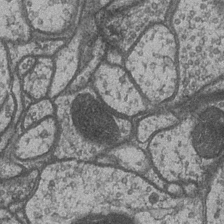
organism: Drosophila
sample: Optic medulla